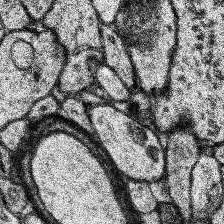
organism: Human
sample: Temporal Lobe